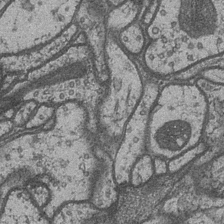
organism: Drosophila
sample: Optic medulla